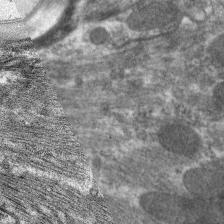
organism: C. elegans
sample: Pharynx